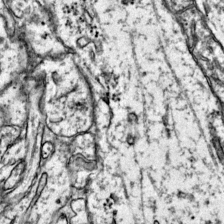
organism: Mouse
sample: Primary visual cortex